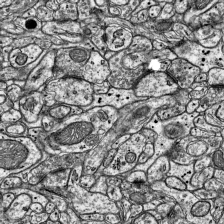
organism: Mouse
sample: Visual Cortex